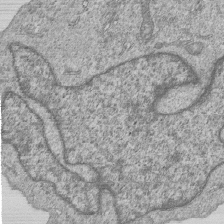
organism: Human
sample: MDA-MB-231 cells